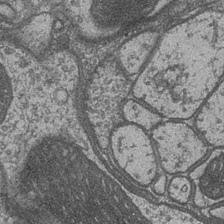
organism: Drosophila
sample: Optic medulla